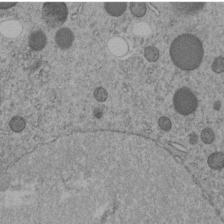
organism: C. elegans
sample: C. elegans embryo early stage